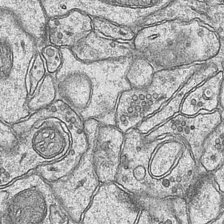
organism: Mouse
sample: CA1 Hippocampus